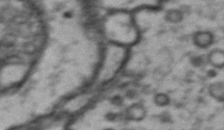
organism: Drosophila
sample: Brain